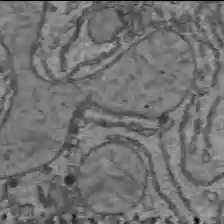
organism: C57BL Mouse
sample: Liver